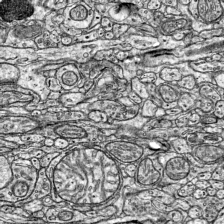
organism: Mouse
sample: Visual Cortex